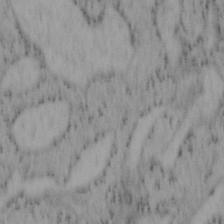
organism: Mouse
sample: OT-I killer T cells with ID8 ovarian cancer cells